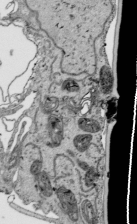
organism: Human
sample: Mitochondria in HCT116 cells